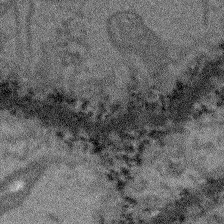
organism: Arabidopsis thaliana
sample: Root tip